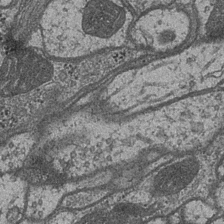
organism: Drosophila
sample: Optic medulla